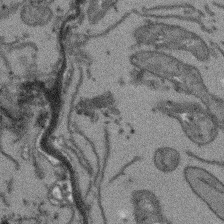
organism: Arabidopsis thaliana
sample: Root tip